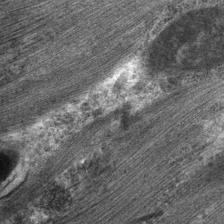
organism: C. elegans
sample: Pharynx